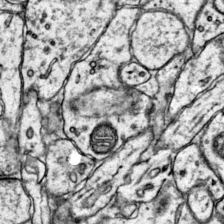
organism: Mouse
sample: Primary visual cortex